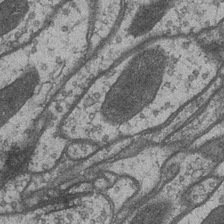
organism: Drosophila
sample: Optic medulla